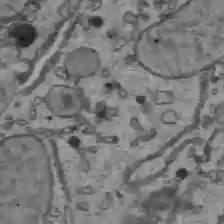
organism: C57BL Mouse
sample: Liver